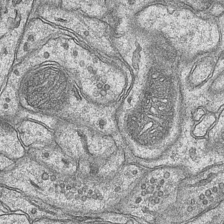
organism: Mouse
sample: CA1 Hippocampus